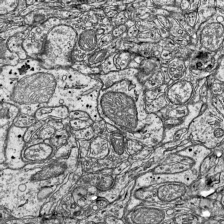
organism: Mouse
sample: Visual Cortex